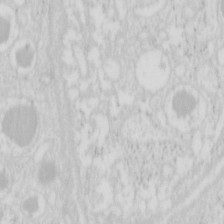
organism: Mouse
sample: Pancreas